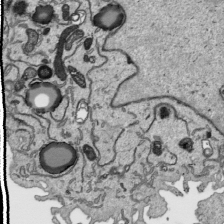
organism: Human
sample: Mitochondria in HCT116 cells